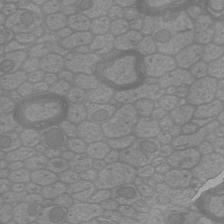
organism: Mouse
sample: Cortical neurons